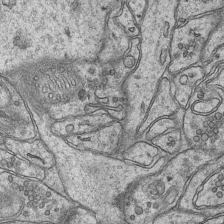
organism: Mouse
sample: CA1 Hippocampus